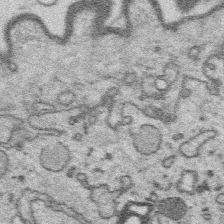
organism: Platynereis dumerilii